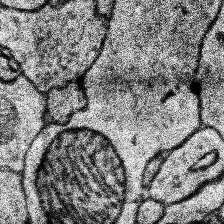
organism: Human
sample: Temporal Lobe